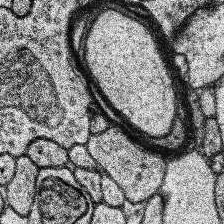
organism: Human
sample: Temporal Lobe